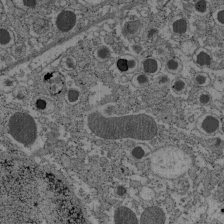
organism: C57BL Mouse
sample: Pancreatic islet